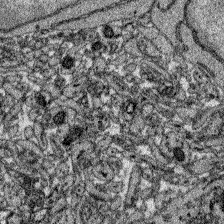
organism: Zebrafish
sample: Larval olfactory bulb